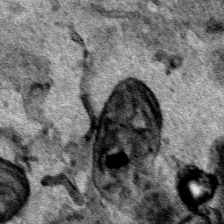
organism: Human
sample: Mitochondria in HCT116 cells